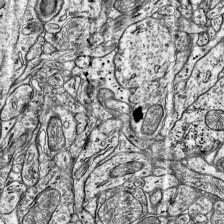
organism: Mouse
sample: Visual Cortex